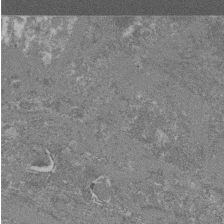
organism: Mouse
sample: Glomerulus